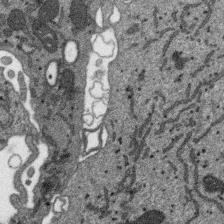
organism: Human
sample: Lung epithelial cells infected with SARS-CoV-2